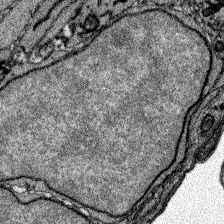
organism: Zebrafish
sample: Larval olfactory bulb